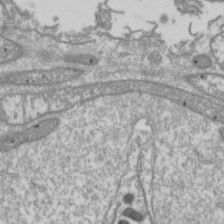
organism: Drosophila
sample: Cell division; meiosis; drosophila spermatocytes